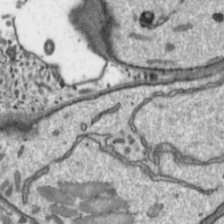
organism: Toxoplasma gondii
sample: Parasites in a vacuole inside a host cell